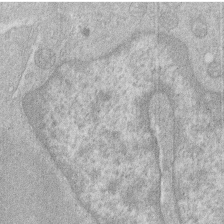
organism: Human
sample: Macrophage cells